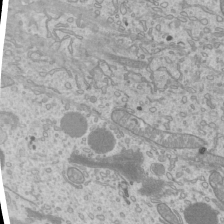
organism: Mouse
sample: Cilia; mouse epididymis